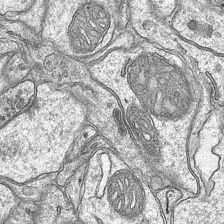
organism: Mouse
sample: CA1 Hippocampus